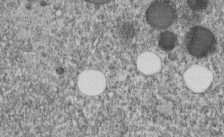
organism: C. elegans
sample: C. elegans embryo early stage